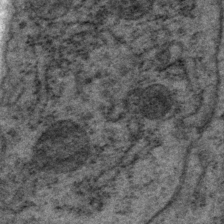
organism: P. pacificus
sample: Pharynx